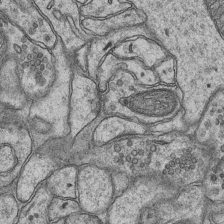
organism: Mouse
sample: CA1 Hippocampus